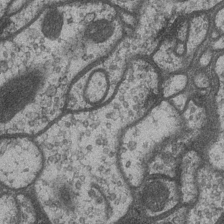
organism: Drosophila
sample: Optic medulla